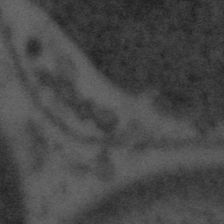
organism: Tuwongella immobilis